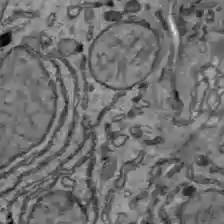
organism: C57BL Mouse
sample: Liver